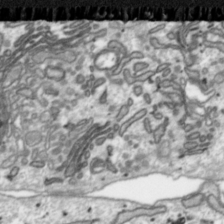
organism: Toxoplasma gondii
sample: Parasites in a vacuole inside a host cell